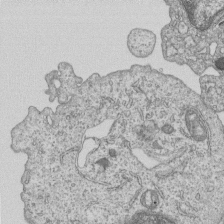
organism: Human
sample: MDA-MB-231 cells